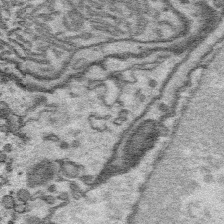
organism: Platynereis dumerilii